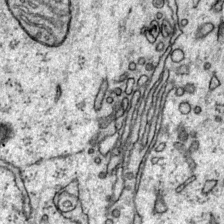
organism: Mouse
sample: Primary visual cortex